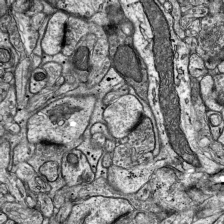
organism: Mouse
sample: Visual Cortex